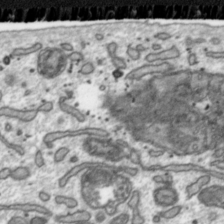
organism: Toxoplasma gondii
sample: Parasites in a vacuole inside a host cell